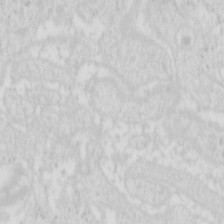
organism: Mouse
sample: Pancreas